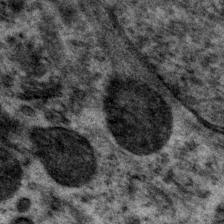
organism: P. pacificus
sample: Pharynx